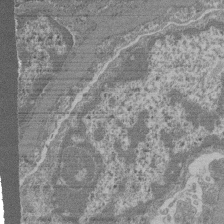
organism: Mouse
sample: Glomerulus